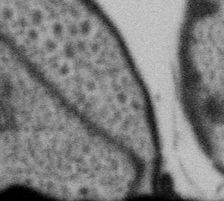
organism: Gemmata obscuriglobus